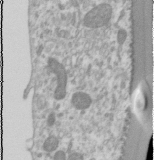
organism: Human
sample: Cilia; basal body in RPE cells